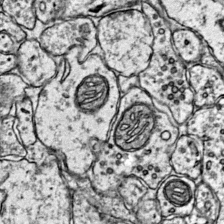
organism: Mouse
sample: Primary visual cortex